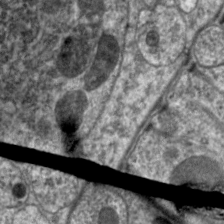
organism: C. elegans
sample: Pharynx